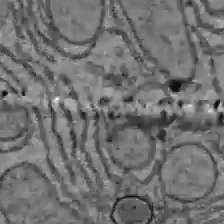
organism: C57BL Mouse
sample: Liver